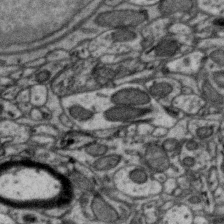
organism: Zebra finch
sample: Brain